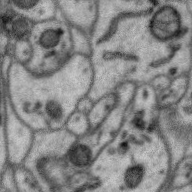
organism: Zebra finch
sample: Brain